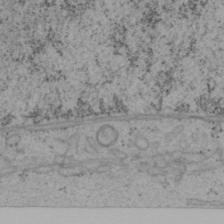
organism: Human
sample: HeLa cells